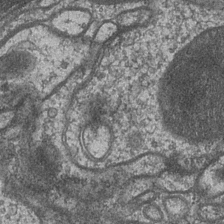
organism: Drosophila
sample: Optic medulla